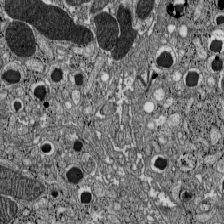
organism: C57BL Mouse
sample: Pancreatic islet